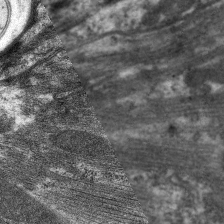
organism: C. elegans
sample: Pharynx